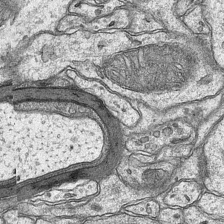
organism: Mouse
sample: CA1 Hippocampus